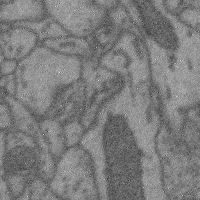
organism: Mouse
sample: Cerebral cortex